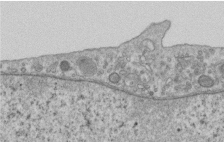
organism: Human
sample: Centriole in RPE cells